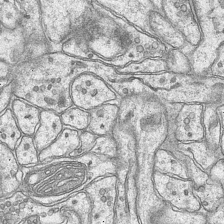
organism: Mouse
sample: CA1 Hippocampus